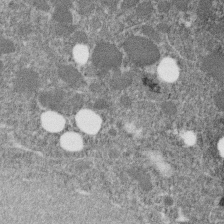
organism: C. elegans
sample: C. elegans embryo early stage